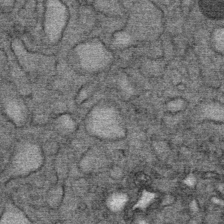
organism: Mouse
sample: Mouse Salivary gland